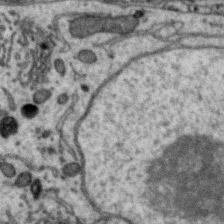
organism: Zebra finch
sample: Brain